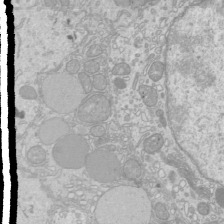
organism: Mouse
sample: Cilia; mouse epididymis